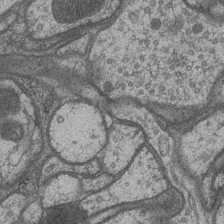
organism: Drosophila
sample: Optic medulla